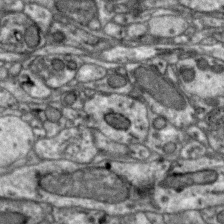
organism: Zebra finch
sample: Brain